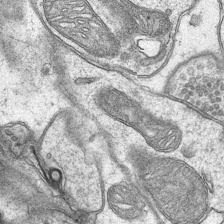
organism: Mouse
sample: CA1 Hippocampus